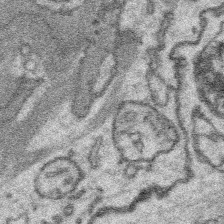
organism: Platynereis dumerilii